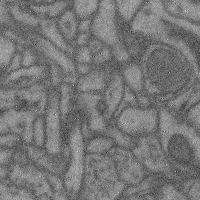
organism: Mouse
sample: Cerebral cortex